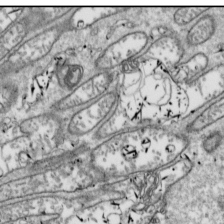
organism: Drosophila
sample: Cell division; meiosis; drosophila spermatocytes